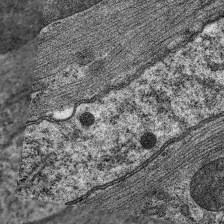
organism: C. elegans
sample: Pharynx